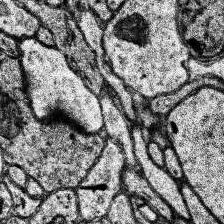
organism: Human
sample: Temporal Lobe